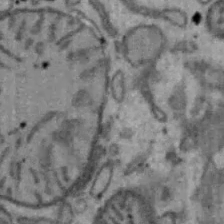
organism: Mouse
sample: Liver